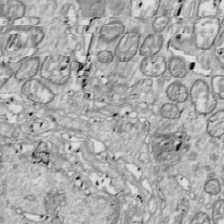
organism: Drosophila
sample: Cell division; meiosis; drosophila spermatocytes